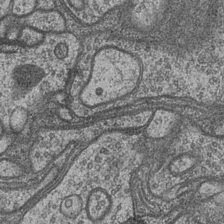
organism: Drosophila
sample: Optic medulla